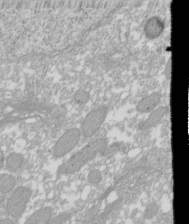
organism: Xenopus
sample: Cilia; centrioles in frog embryo cells